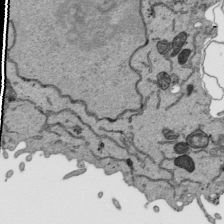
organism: Human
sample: Mitochondria in HCT116 cells